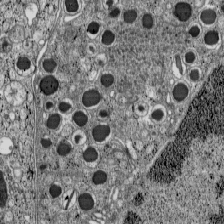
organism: C57BL Mouse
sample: Pancreatic islet